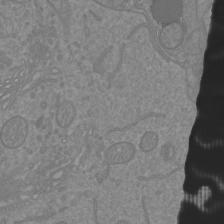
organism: Mouse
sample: Cortical neurons